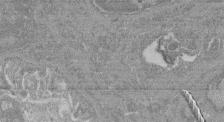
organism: Mouse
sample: Glomerulus